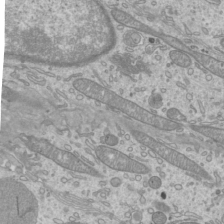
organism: Mouse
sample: Cilia; mouse epididymis